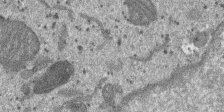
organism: Human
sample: Lung epithelial cells infected with SARS-CoV-2